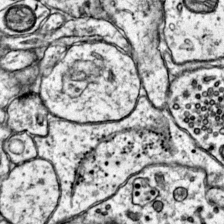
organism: Mouse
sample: Primary visual cortex